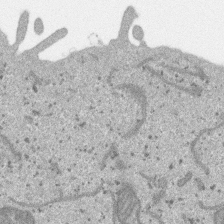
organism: Human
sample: Lung epithelial cells infected with SARS-CoV-2